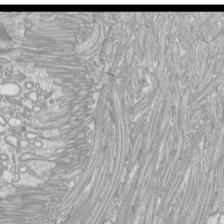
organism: Mouse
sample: Cilia; mouse epididymis